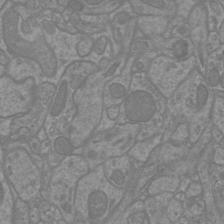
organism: Mouse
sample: Cortical neurons